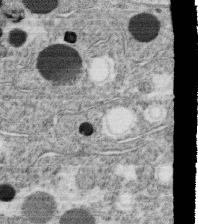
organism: C. elegans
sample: C. elegans oocyte; sperm cells